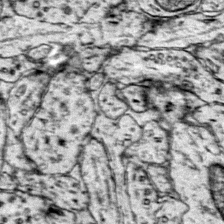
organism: Mouse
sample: Primary visual cortex